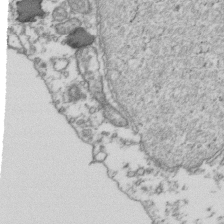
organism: Human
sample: Activated Jurkat CD4+ T cells